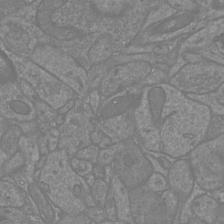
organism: Mouse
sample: Cortical neurons